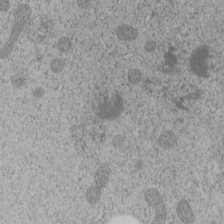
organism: C. elegans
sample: C. elegans embryo early stage